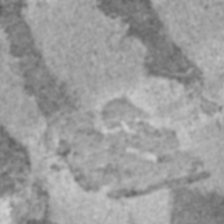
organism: C57BL Mouse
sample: Heart